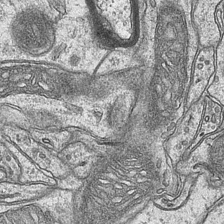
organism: Mouse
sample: CA1 Hippocampus